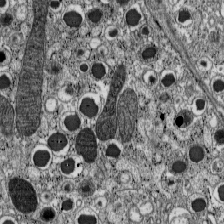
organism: C57BL Mouse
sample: Pancreatic islet